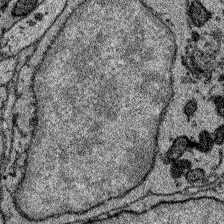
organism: Zebrafish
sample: Larval olfactory bulb